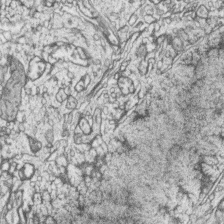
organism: Zebrafish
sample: synaptic ribbons in rod cells and cone cells